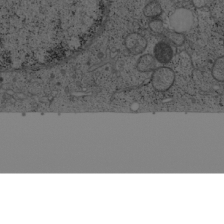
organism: African green monkey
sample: COS-7 cells